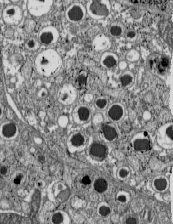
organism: C57BL Mouse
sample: Pancreatic islet